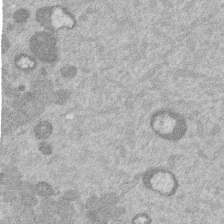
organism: Mouse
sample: Dividing mouse embryo 1 cell stage